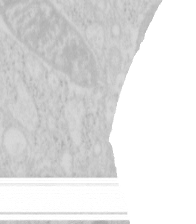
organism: Mouse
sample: Pancreas